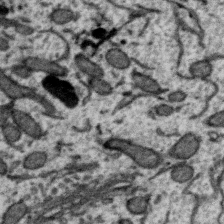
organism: Zebra finch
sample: Brain